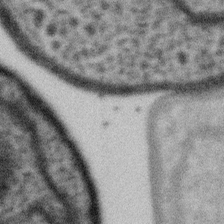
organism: Gemmata obscuriglobus